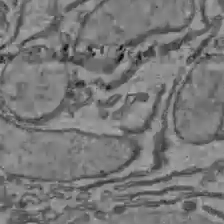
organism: C57BL Mouse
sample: Liver